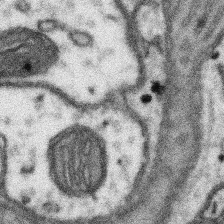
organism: Mouse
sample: Somatosensory cortex neuropil